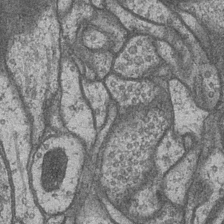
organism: Drosophila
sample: Optic medulla